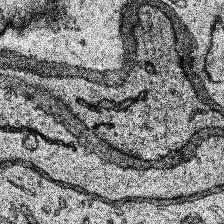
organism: Human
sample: Temporal Lobe